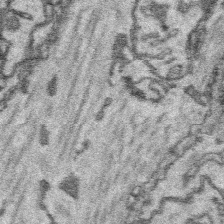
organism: Platynereis dumerilii